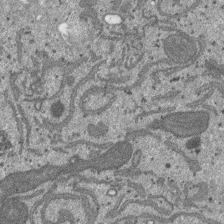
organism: Human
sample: Lung epithelial cells infected with SARS-CoV-2